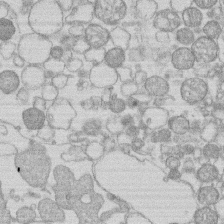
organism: Human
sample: Macrophage cells